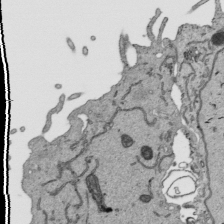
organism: Human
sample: Mitochondria in HCT116 cells